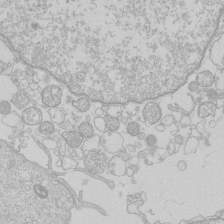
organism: Human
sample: Macrophage cells